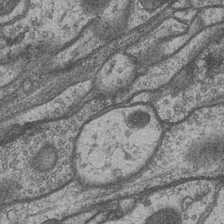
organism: Drosophila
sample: Optic medulla